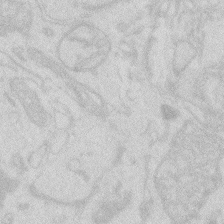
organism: Zebrafish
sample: Macrophage